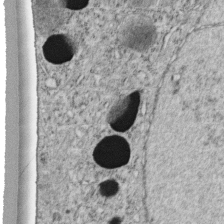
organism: C. elegans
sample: C. elegans embryo early stage